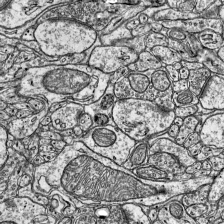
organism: Mouse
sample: Visual Cortex